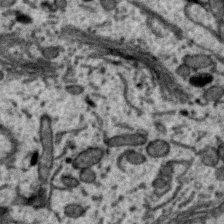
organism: Zebra finch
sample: Brain